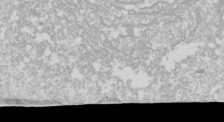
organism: Drosophila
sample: Cell division; meiosis; drosophila spermatocytes